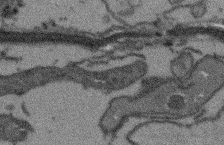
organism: Arabidopsis thaliana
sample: Root tip